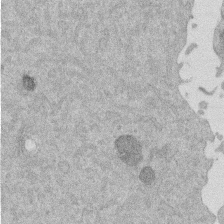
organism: Mouse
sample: Dividing mouse embryo 1 cell stage